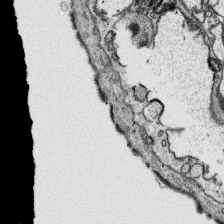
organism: Platynereis dumerilii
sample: Parapodia